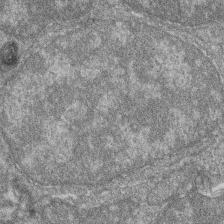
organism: Zebrafish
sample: Cilia; retinal pigment epithelium